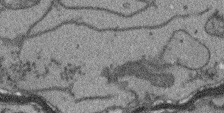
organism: Arabidopsis thaliana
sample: Root tip